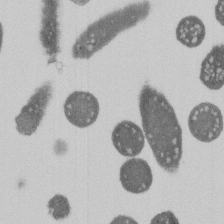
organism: E. coli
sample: Bacterial nucleoid